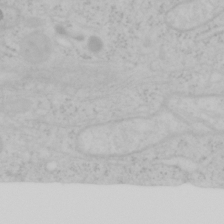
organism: Mouse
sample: OT-I killer T cells with ID8 ovarian cancer cells